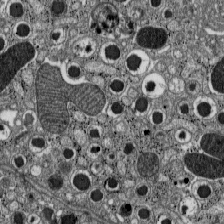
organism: C57BL Mouse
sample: Pancreatic islet